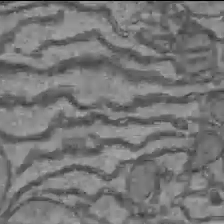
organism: C57BL Mouse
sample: Liver